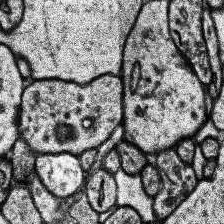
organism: Human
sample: Temporal Lobe